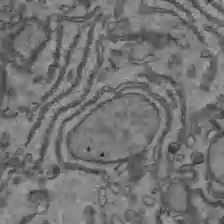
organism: C57BL Mouse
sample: Liver